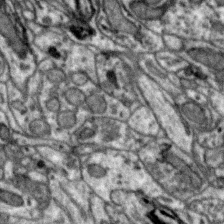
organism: Zebra finch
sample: Brain